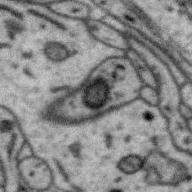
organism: Zebra finch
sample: Brain